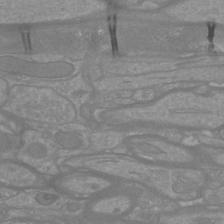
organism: Mouse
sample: Cortical neurons